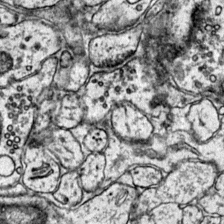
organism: Mouse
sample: Primary visual cortex